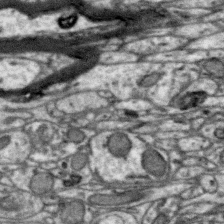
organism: Zebra finch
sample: Brain